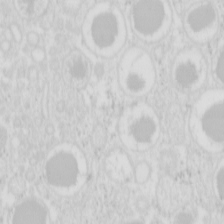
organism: Mouse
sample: Pancreas